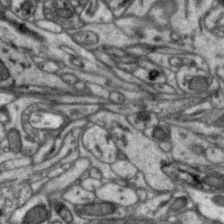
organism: Zebra finch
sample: Brain